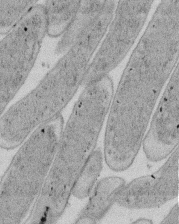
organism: E. coli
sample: Bacterial nucleoid